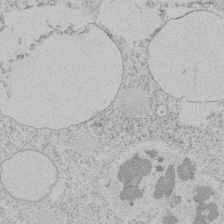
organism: Tetrahymena